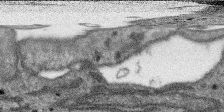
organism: Human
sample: Lung epithelial cells infected with SARS-CoV-2